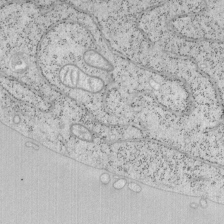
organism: Mouse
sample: OT-I killer T cells with ID8 ovarian cancer cells